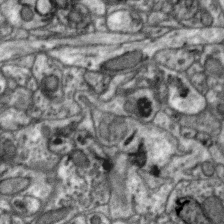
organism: Zebra finch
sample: Brain